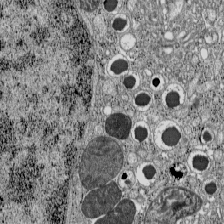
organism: C57BL Mouse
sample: Pancreatic islet